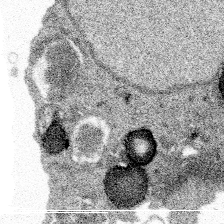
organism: Spongilla lacustris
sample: Multiple